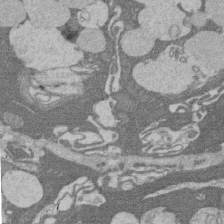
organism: Rat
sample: Salivary granule